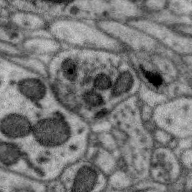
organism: Zebra finch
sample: Brain